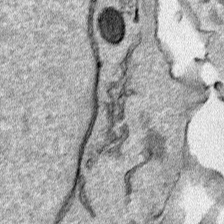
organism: Human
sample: Mitochondria in HCT116 cells